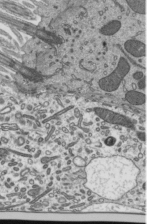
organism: Mouse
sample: Mouse epididymis efferent ductule cilia